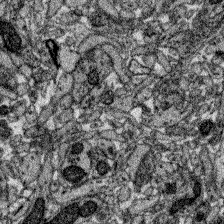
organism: Zebrafish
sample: Larval olfactory bulb